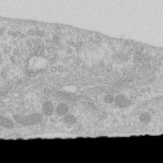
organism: Human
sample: Centriole in RPE cells